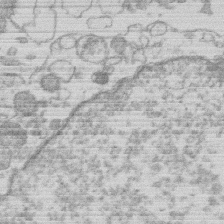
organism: Human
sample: Macrophage cells